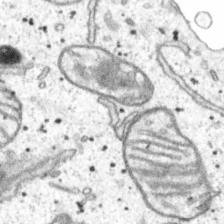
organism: Human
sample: HeLa cells